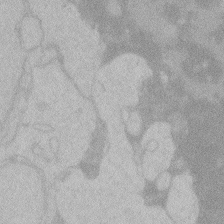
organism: Zebrafish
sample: Macrophage infected with Toxoplasma gondii